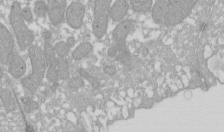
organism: Xenopus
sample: Cilia; centrioles in frog embryo cells